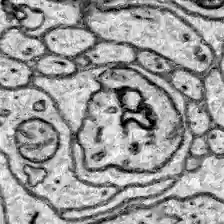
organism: Zebrafish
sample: Brain